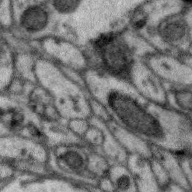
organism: Zebra finch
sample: Brain